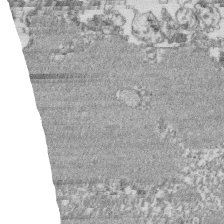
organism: Human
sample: HeLa cell HIV synapse